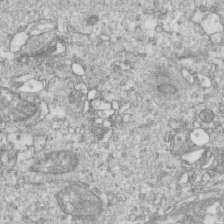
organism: Mouse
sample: Activated OT-1 CD8+ T cells